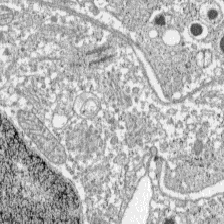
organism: C57BL Mouse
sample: Pancreatic islet